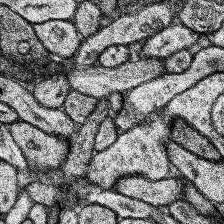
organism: Human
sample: Temporal Lobe